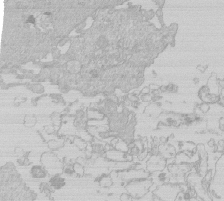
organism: Human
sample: Macrophage cells